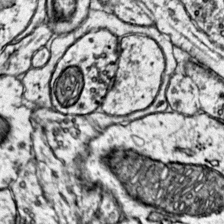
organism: Mouse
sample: Primary visual cortex